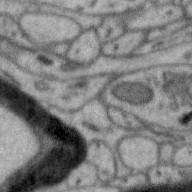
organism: Zebra finch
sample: Brain